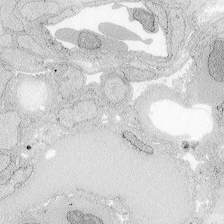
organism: Zebrafish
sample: Whole-Brain